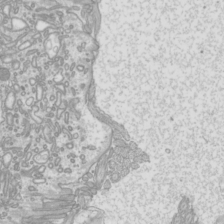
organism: Mouse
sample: Cilia; mouse epididymis